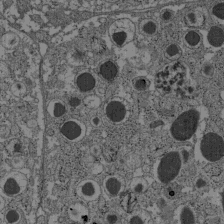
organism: C57BL Mouse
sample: Pancreatic islet